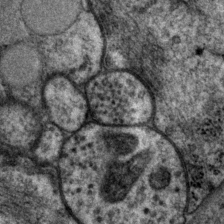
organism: P. pacificus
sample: Pharynx